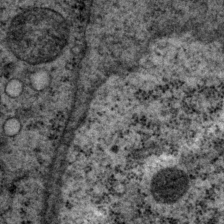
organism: P. pacificus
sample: Pharynx